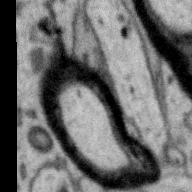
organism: Zebra finch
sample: Brain